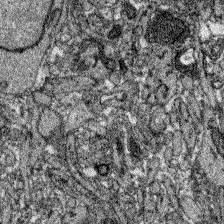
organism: Zebrafish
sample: Larval olfactory bulb